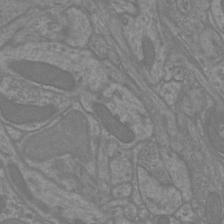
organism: Mouse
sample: Cortical neurons